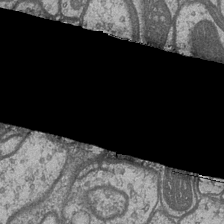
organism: Drosophila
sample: Optic medulla